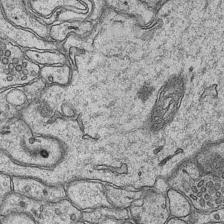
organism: Mouse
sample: CA1 Hippocampus